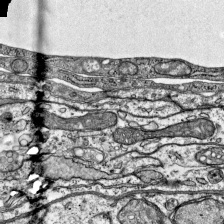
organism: Mouse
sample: Visual Cortex